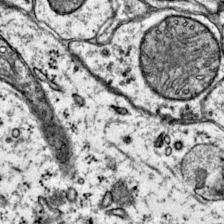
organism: Mouse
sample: Primary visual cortex